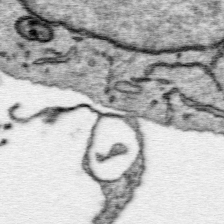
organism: Human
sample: HeLa cells